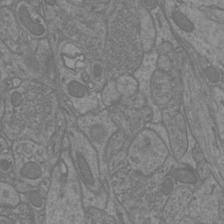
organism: Mouse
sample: Cortical neurons